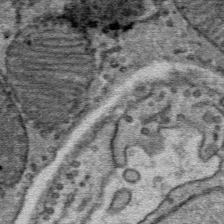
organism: Mouse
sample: Mouse Salivary gland